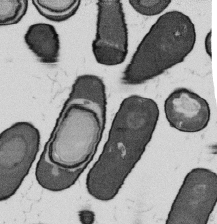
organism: B. subtilis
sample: Bacterial spore